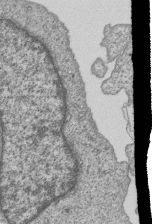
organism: Human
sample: MDA-MB-231 cells